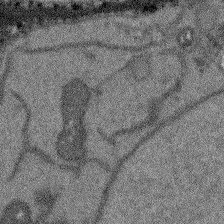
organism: Arabidopsis thaliana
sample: Root tip